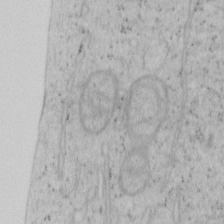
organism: Human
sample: HeLa cells